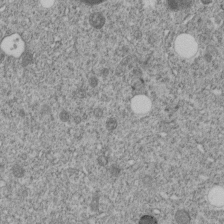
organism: C. elegans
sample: C. elegans embryo early stage